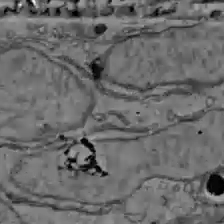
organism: C57BL Mouse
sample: Liver